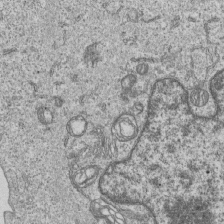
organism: Human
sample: MDA-MB-231 cells